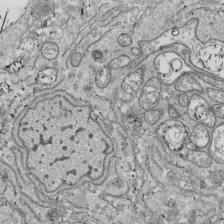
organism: Drosophila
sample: Cell division; meiosis; drosophila spermatocytes